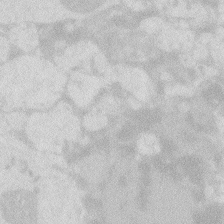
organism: Zebrafish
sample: Macrophage